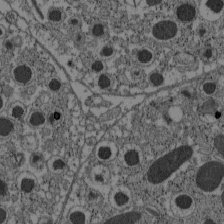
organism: C57BL Mouse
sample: Pancreatic islet